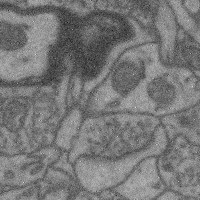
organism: Mouse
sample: Cerebral cortex